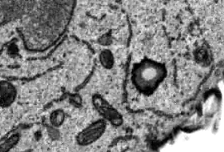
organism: Human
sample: HeLa cells